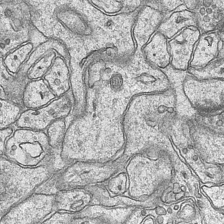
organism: Mouse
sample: CA1 Hippocampus